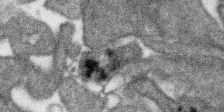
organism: Human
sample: Lung epithelial cells infected with SARS-CoV-2